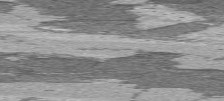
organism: C57BL Mouse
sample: Heart